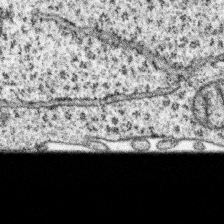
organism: Human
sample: HeLa cells